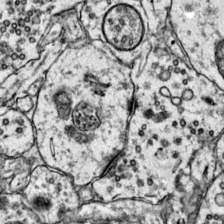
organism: Mouse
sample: Primary visual cortex